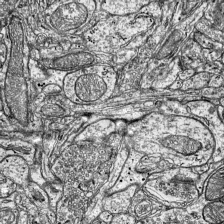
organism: Mouse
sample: Visual Cortex